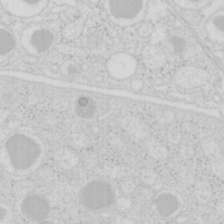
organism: Mouse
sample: Pancreas